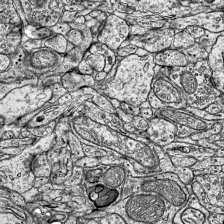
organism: Mouse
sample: Visual Cortex